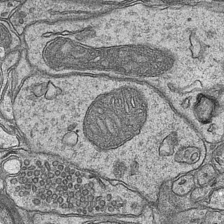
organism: Mouse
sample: CA1 Hippocampus